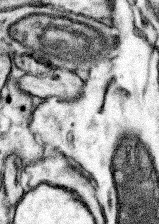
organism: Mouse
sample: Somatosensory cortex neuropil